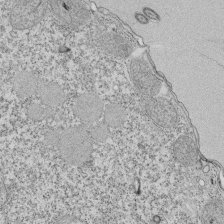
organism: Tetrahymena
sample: Cilia in tetrahymena